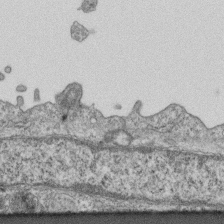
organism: Mouse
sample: Centriole in ependymal cells